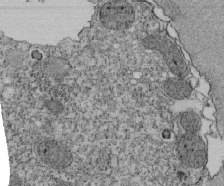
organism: Tetrahymena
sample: Cilia in tetrahymena